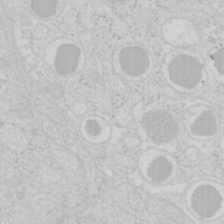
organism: Mouse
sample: Pancreas